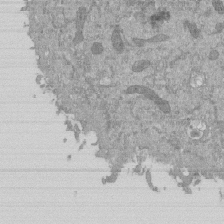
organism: Mouse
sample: ED-1 cell nuclei; centrioles